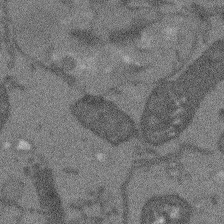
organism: Arabidopsis thaliana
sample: Root tip